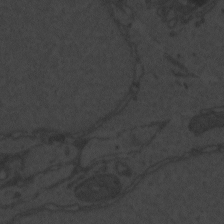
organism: Zebrafish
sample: Macrophage infected with Toxoplasma gondii